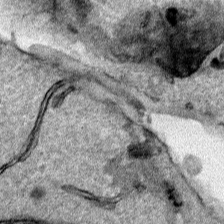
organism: Human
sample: Mitochondria in HCT116 cells